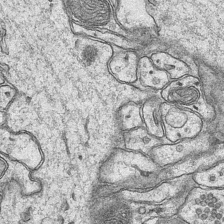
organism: Mouse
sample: CA1 Hippocampus